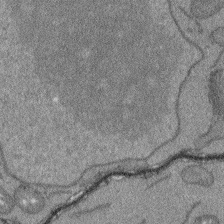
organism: Arabidopsis thaliana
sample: Root tip